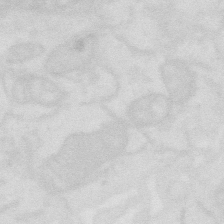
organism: Human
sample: HeLa cells